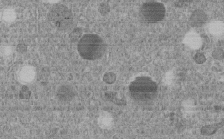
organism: C. elegans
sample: C. elegans embryo early stage